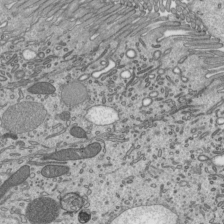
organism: Mouse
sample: Mouse epididymis efferent ductule cilia